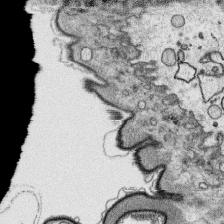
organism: Platynereis dumerilii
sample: Parapodia